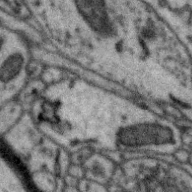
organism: Zebra finch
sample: Brain